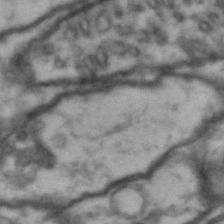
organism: Drosophila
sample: Brain